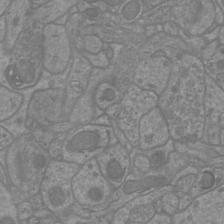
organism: Mouse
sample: Cortical neurons